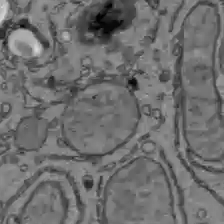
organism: C57BL Mouse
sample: Liver